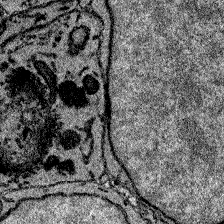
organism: Zebrafish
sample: Larval olfactory bulb